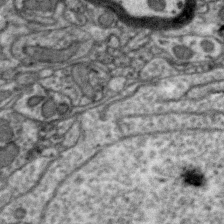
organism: Zebra finch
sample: Brain